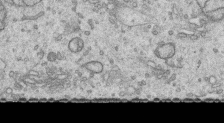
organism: Human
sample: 1205lu cells